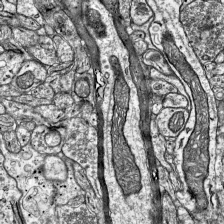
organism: Mouse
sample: Visual Cortex